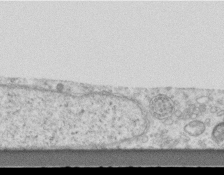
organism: Mouse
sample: Centriole in ependymal cells